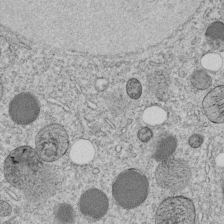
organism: C. elegans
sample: C. elegans embryo early stage